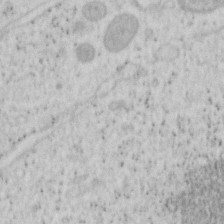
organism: Human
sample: HeLa cells